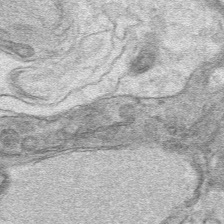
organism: Mouse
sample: Mouse hepatocytes